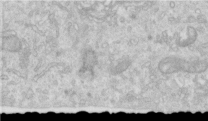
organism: Human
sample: Centriole in RPE cells